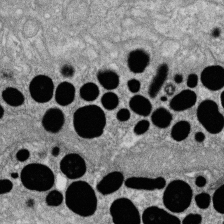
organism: Zebrafish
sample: Cilia; retinal pigment epithelium